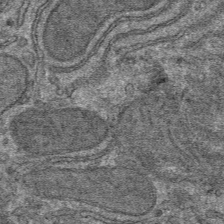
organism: Mouse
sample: Mouse hepatocytes